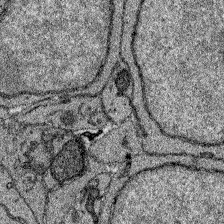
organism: Zebrafish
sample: Larval olfactory bulb